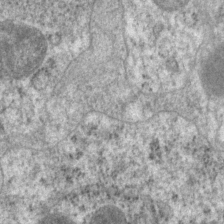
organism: P. pacificus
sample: Pharynx